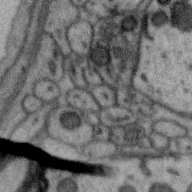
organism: Zebra finch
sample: Brain